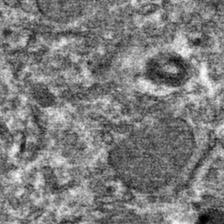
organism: Mouse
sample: Mouse hepatocytes